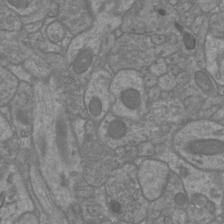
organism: Mouse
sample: Cortical neurons